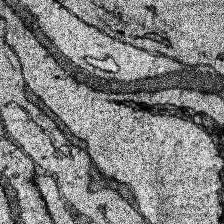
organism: Human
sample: Temporal Lobe